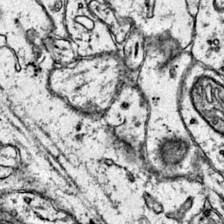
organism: Mouse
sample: Primary visual cortex